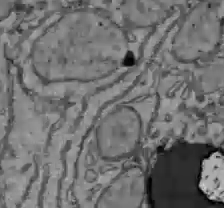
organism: C57BL Mouse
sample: Liver